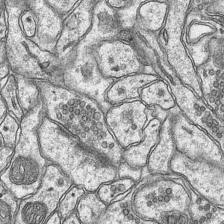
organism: Mouse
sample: CA1 Hippocampus